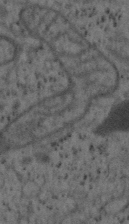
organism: Human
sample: HeLa cells